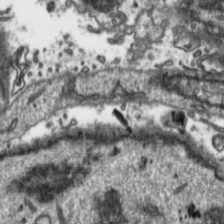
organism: Toxoplasma gondii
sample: Parasites in a vacuole inside a host cell